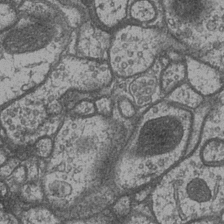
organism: Drosophila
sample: Optic medulla